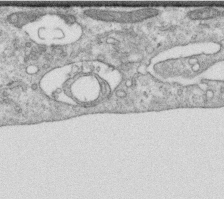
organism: Human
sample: Centriole in RPE cells